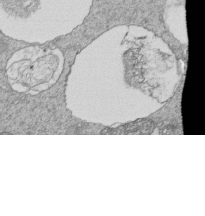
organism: Tetrahymena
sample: Cilia in tetrahymena